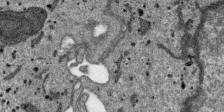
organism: Human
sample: Lung epithelial cells, uninfected (mock) control